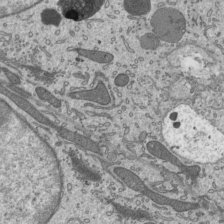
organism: Mouse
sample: Mouse epididymis efferent ductule cilia